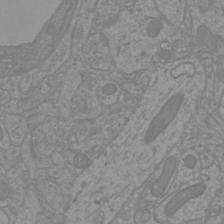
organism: Mouse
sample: Cortical neurons